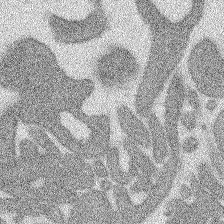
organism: Human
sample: HeLa cells